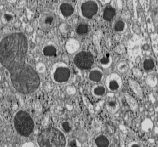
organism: C57BL Mouse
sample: Pancreatic islet